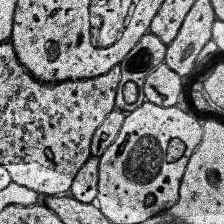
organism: Human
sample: Temporal Lobe